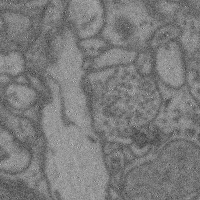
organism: Mouse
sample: Cerebral cortex